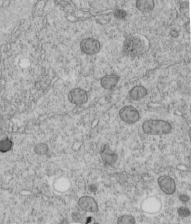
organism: C. elegans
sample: C. elegans embryo early stage